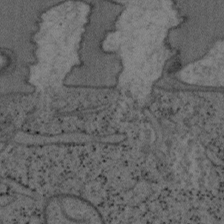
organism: Human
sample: HeLa cells